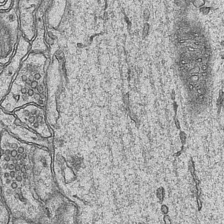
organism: Mouse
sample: CA1 Hippocampus